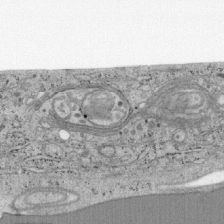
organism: Human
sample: HeLa cells